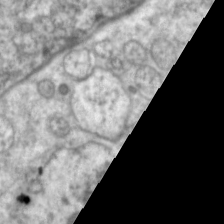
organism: C. elegans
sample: Pharynx